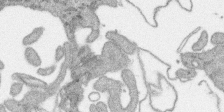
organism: Human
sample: Lung epithelial cells infected with SARS-CoV-2